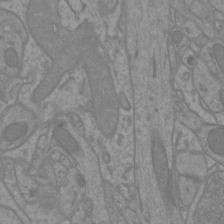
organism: Mouse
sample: Cortical neurons